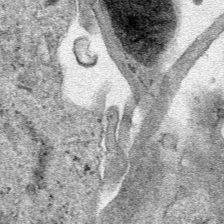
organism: Human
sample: Mitochondria in HCT116 cells